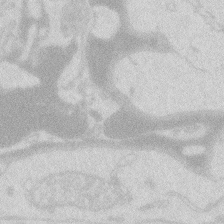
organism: Zebrafish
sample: Macrophage